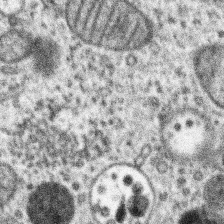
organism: Human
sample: HeLa cells